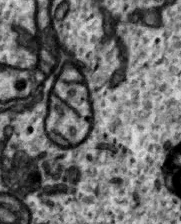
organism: Human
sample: HeLa cells